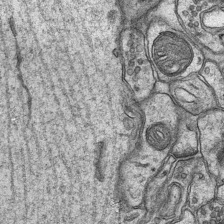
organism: Mouse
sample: CA1 Hippocampus